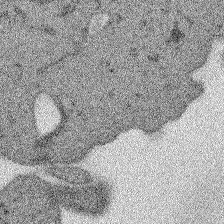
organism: Human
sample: HeLa cells